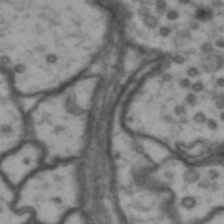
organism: Drosophila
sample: Brain